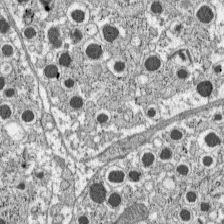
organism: C57BL Mouse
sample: Pancreatic islet